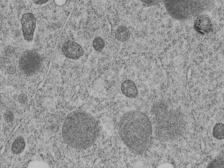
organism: C. elegans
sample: C. elegans embryo early stage